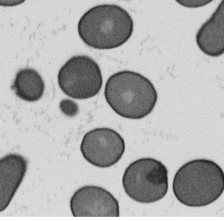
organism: B. subtilis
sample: Bacterial spore